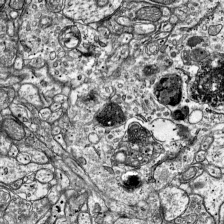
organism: Mouse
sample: Visual Cortex